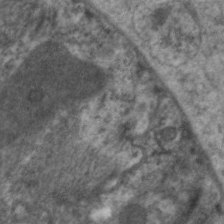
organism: C. elegans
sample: Pharynx